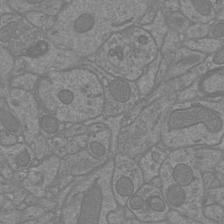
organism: Mouse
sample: Cortical neurons